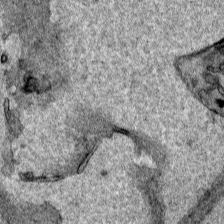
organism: Human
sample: Mitochondria in HCT116 cells